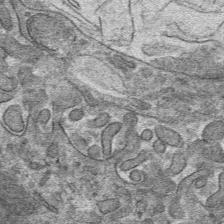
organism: Mouse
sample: Mouse hepatocytes